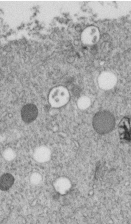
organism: C. elegans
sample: C. elegans embryo early stage